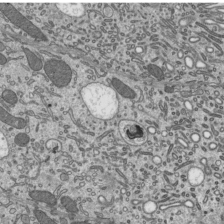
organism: Mouse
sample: Mouse epididymis efferent ductule cilia